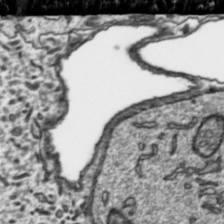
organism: Toxoplasma gondii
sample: Parasites in a vacuole inside a host cell